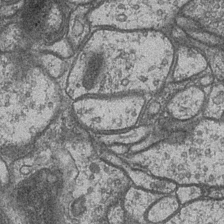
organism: Drosophila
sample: Optic medulla